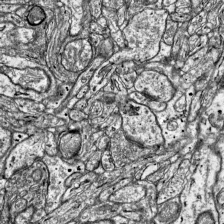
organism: Mouse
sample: Visual Cortex